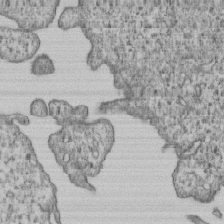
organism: Human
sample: MDA-MB-231 cells